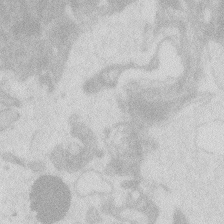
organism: Zebrafish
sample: Macrophage